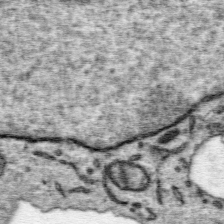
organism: Human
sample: HeLa cells